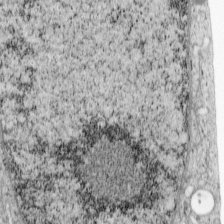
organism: African green monkey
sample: COS-7 cells